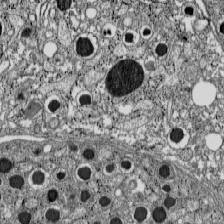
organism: C57BL Mouse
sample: Pancreatic islet